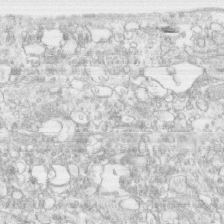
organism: Human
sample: CRL-1474